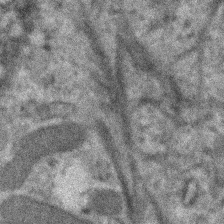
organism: Human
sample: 1205lu cells